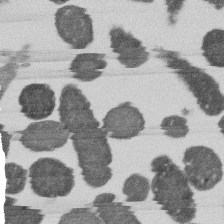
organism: E. coli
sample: Bacterial nucleoid